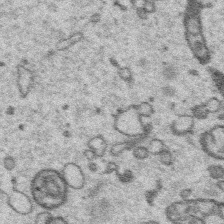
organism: Platynereis dumerilii